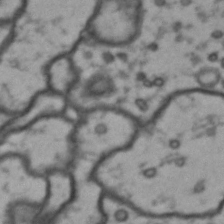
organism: Drosophila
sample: Brain